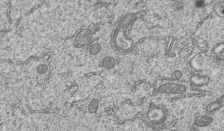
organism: Human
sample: MDA-MB-231 cells